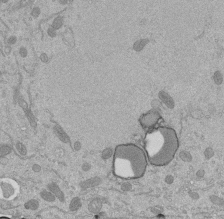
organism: Mouse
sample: ED-1 cell nuclei; centrioles